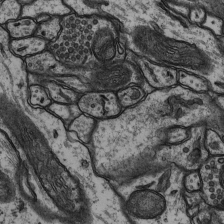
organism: Rat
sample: Hippocampus